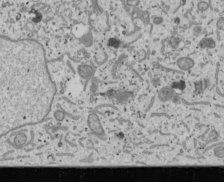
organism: Human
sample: Mitochondria in U2OS cells